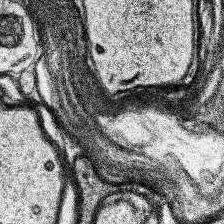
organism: Human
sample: Temporal Lobe